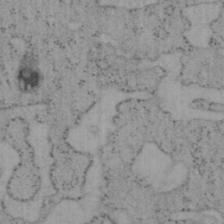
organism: Mouse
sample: OT-I killer T cells with ID8 ovarian cancer cells